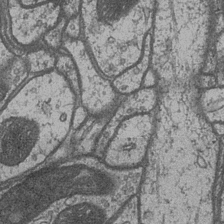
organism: Drosophila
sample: Optic medulla